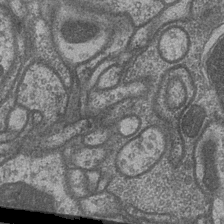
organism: Drosophila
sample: Optic medulla